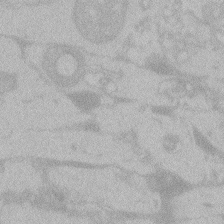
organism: Zebrafish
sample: Macrophage infected with Toxoplasma gondii